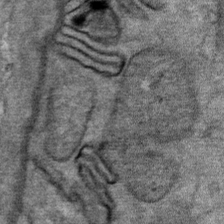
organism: Mouse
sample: Mouse Salivary gland